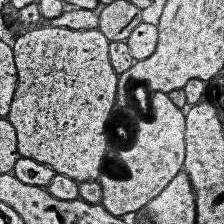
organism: Human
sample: Temporal Lobe